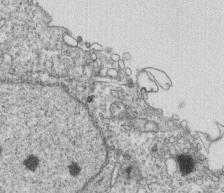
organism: Human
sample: HeLa cell HIV synapse